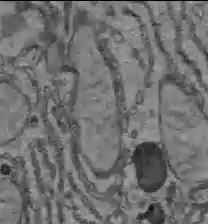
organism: C57BL Mouse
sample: Liver